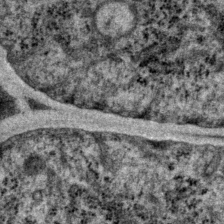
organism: P. pacificus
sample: Pharynx